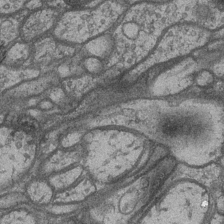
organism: Drosophila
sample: Optic medulla